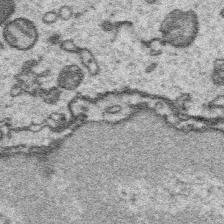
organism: Platynereis dumerilii